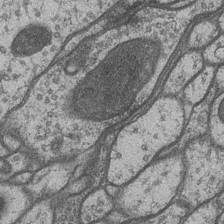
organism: Drosophila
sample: Optic medulla